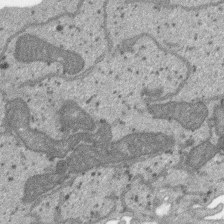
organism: Human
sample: Lung epithelial cells infected with SARS-CoV-2